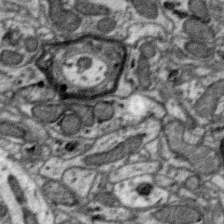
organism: Zebra finch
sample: Brain